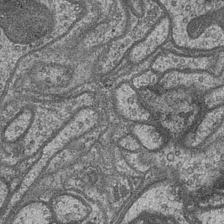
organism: Drosophila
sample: Optic medulla